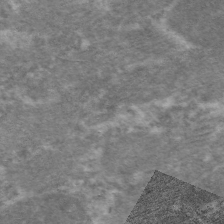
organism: C. elegans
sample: Pharynx